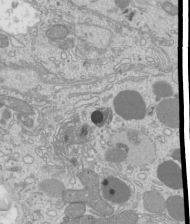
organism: Mouse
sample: Cilia; mouse epididymis